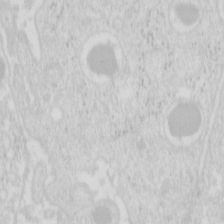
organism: Mouse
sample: Pancreas